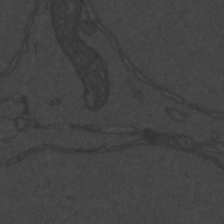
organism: Zebrafish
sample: Macrophage infected with Toxoplasma gondii